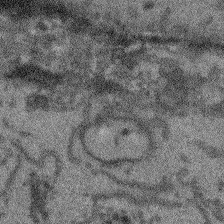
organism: Arabidopsis thaliana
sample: Root tip